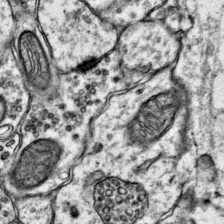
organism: Mouse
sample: Primary visual cortex